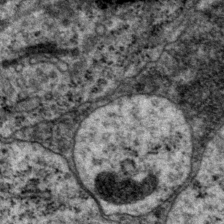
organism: P. pacificus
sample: Pharynx